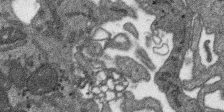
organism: Human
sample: Lung epithelial cells infected with SARS-CoV-2